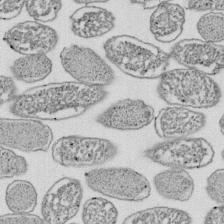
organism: E. coli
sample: Bacterial nucleoid